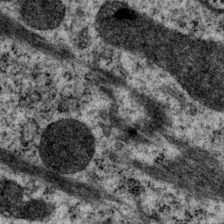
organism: P. pacificus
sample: Pharynx